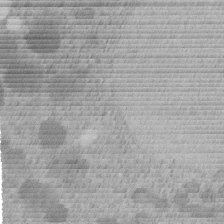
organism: C. elegans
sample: C. elegans embryo early stage